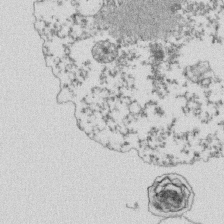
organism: Human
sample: HeLa cell HIV synapse